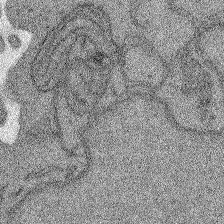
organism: Human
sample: HeLa cells